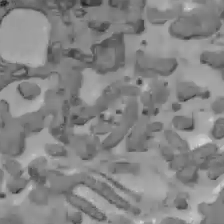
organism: C57BL Mouse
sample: Liver